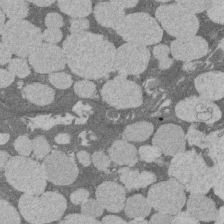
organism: Rat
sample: Salivary granule